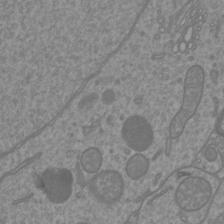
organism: Mouse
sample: Cortical neurons